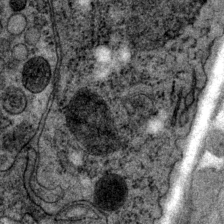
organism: P. pacificus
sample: Pharynx